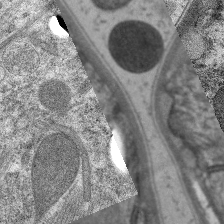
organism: C. elegans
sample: Pharynx